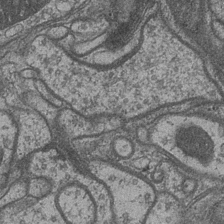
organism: Drosophila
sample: Optic medulla